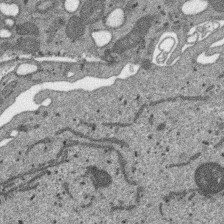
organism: Human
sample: Lung epithelial cells infected with SARS-CoV-2